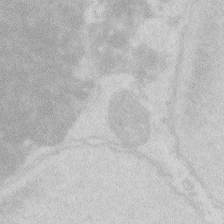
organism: Zebrafish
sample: Macrophage